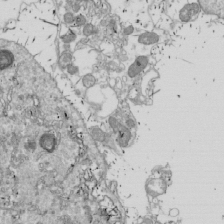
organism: Drosophila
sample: Cell division; meiosis; drosophila spermatocytes